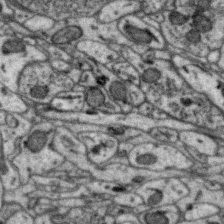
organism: Zebra finch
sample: Brain